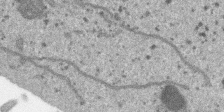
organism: Human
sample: Lung epithelial cells infected with SARS-CoV-2